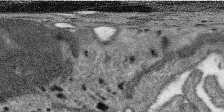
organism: Human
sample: Lung epithelial cells infected with SARS-CoV-2